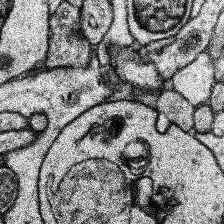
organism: Human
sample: Temporal Lobe